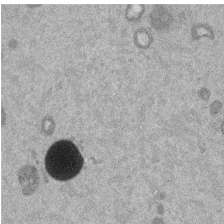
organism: Mouse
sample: Dividing mouse embryo 1 cell stage